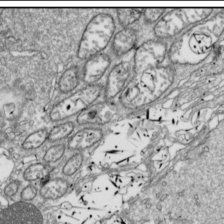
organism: Drosophila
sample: Cell division; meiosis; drosophila spermatocytes